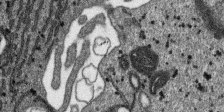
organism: Human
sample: Lung epithelial cells infected with SARS-CoV-2